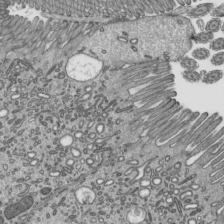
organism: Mouse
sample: Mouse epididymis efferent ductule cilia